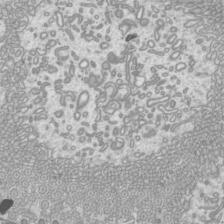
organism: Mouse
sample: Cilia; mouse epididymis